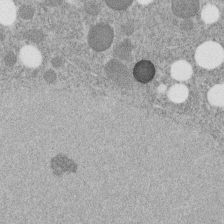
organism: C. elegans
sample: C. elegans embryo early stage